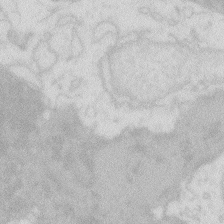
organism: Zebrafish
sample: Macrophage